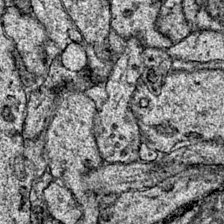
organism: Mouse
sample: Primary visual cortex